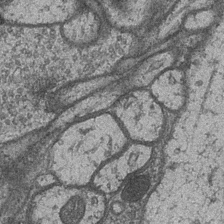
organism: Drosophila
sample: Optic medulla